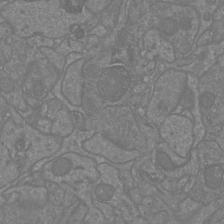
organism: Mouse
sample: Cortical neurons